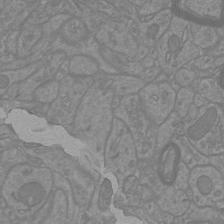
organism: Mouse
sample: Cortical neurons